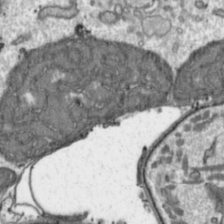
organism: Toxoplasma gondii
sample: Parasites in a vacuole inside a host cell